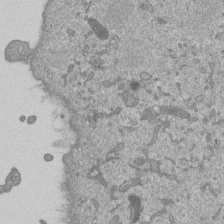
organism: Mouse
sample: ED-1 cell nuclei; centrioles